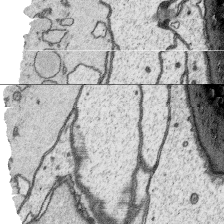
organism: Platynereis dumerilii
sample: Parapodia